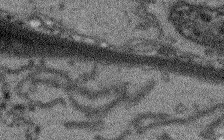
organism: Arabidopsis thaliana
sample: Root tip